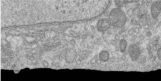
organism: Human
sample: Centriole in RPE cells